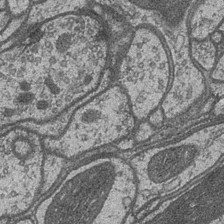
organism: Drosophila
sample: Optic medulla